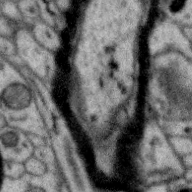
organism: Zebra finch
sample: Brain